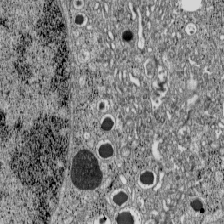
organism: C57BL Mouse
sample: Pancreatic islet